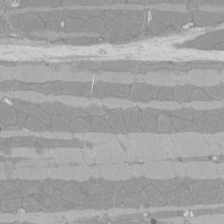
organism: Rat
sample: Left ventricle